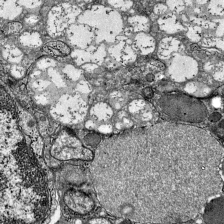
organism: Mouse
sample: Visual Cortex